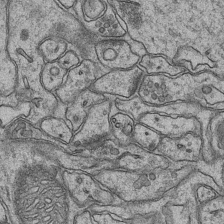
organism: Mouse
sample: CA1 Hippocampus